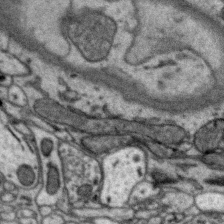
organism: Zebra finch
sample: Brain